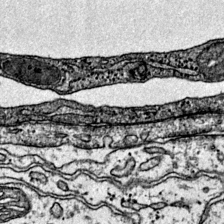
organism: Mouse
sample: Primary visual cortex